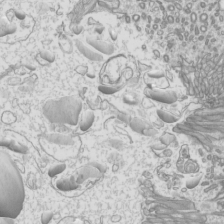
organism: Mouse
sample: Cilia; mouse epididymis